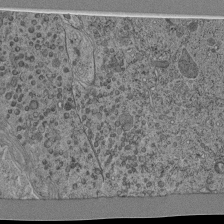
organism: C. elegans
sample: C. elegans pharynx